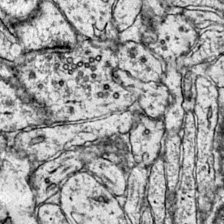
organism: Mouse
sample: Primary visual cortex